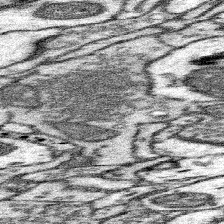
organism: Mouse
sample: Somatosensory cortex neuropil